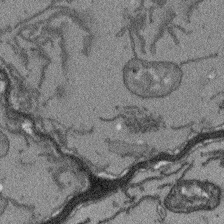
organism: Arabidopsis thaliana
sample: Root tip